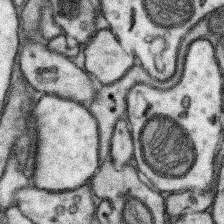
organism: Mouse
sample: Somatosensory cortex neuropil